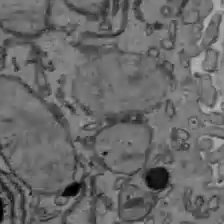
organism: C57BL Mouse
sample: Liver